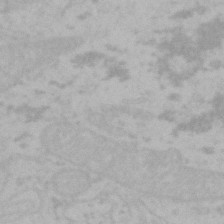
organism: Mouse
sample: Choroid plexus